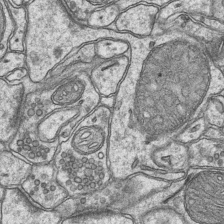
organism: Mouse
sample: CA1 Hippocampus